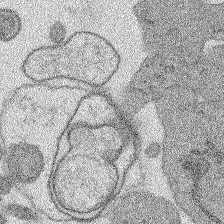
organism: Human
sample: HeLa cells